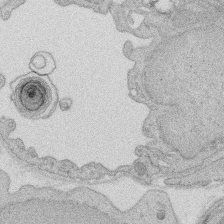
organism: Rat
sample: Salivary granule